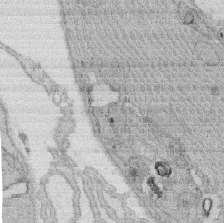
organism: Rat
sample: Salivary granule